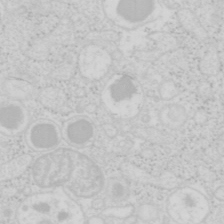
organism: Mouse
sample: Pancreas